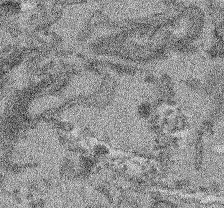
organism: Human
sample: HeLa cells